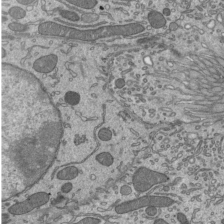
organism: Mouse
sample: Mouse epididymis efferent ductule cilia